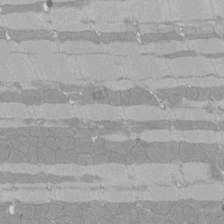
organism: Rat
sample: Left ventricle